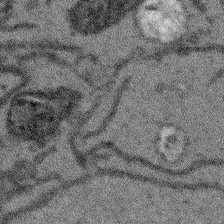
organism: Arabidopsis thaliana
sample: Root tip